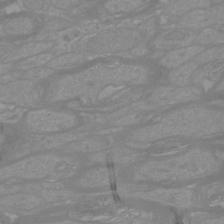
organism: Mouse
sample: Cortical neurons